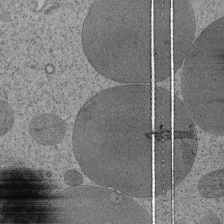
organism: Tetrahymena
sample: Cilia in tetrahymena